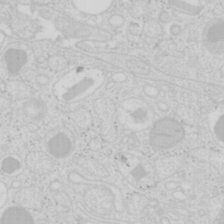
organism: Mouse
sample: Pancreas